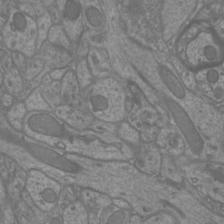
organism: Mouse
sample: Cortical neurons